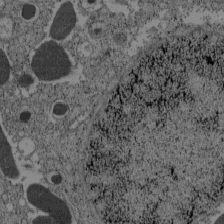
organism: C57BL Mouse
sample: Pancreatic islet